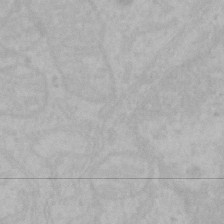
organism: Mouse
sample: Choroid plexus